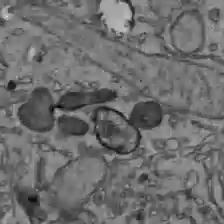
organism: C57BL Mouse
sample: Liver